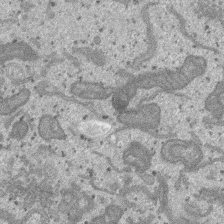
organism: Human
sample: Lung epithelial cells infected with SARS-CoV-2